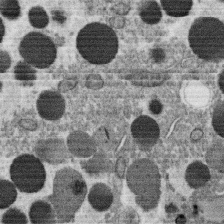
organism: C. elegans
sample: C. elegans oocyte; sperm cells